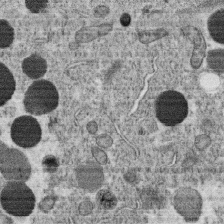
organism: C. elegans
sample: C. elegans oocyte; sperm cells